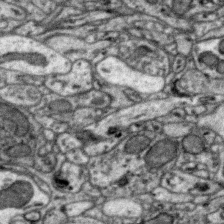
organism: Zebra finch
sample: Brain